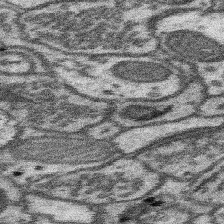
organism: Mouse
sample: Somatosensory cortex neuropil